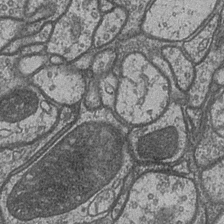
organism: Drosophila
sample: Optic medulla